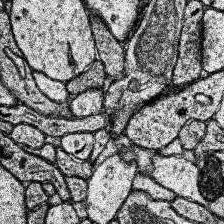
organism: Human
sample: Temporal Lobe